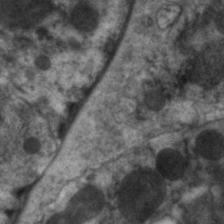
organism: C. elegans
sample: Pharynx